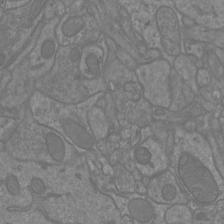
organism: Mouse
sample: Cortical neurons